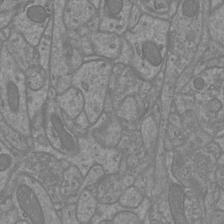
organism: Mouse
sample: Cortical neurons